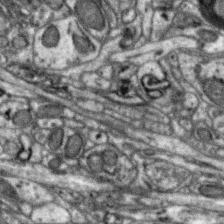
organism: Zebra finch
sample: Brain